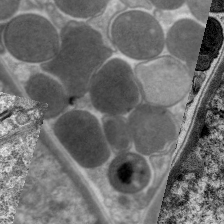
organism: C. elegans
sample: Pharynx